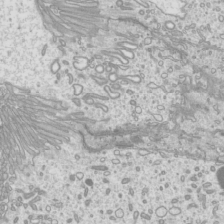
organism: Mouse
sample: Cilia; mouse epididymis